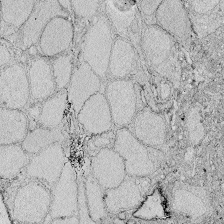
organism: Zebrafish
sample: Whole-Brain